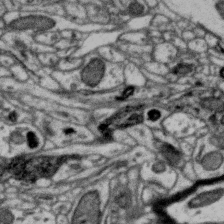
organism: Zebra finch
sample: Brain